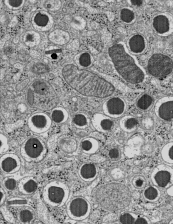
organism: C57BL Mouse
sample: Pancreatic islet